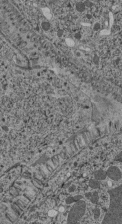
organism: C. elegans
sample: C. elegans pharynx